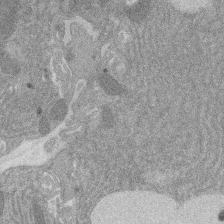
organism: Rat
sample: Salivary granule